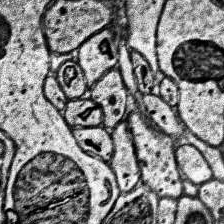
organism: Human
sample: Temporal Lobe